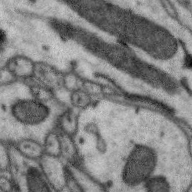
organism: Zebra finch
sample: Brain